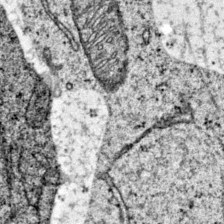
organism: Mouse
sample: Primary visual cortex